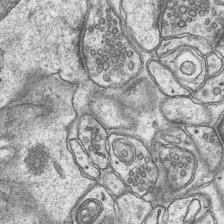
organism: Mouse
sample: CA1 Hippocampus